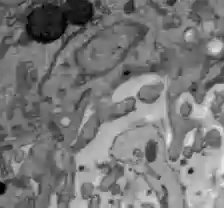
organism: C57BL Mouse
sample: Liver